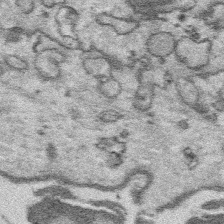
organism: Platynereis dumerilii